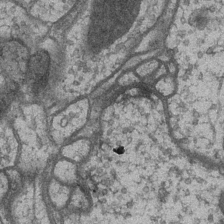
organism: Drosophila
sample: Optic medulla